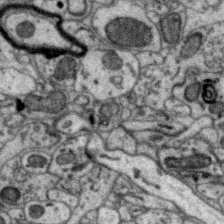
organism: Zebra finch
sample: Brain